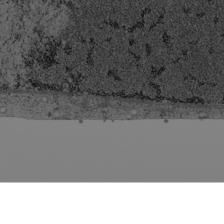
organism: African green monkey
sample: COS-7 cells